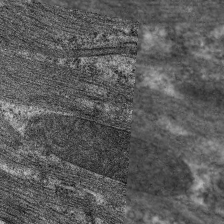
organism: C. elegans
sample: Pharynx